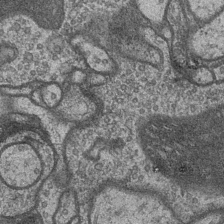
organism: Drosophila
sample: Optic medulla